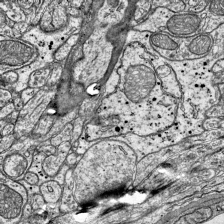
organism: Mouse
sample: Visual Cortex